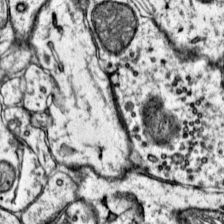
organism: Mouse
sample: Primary visual cortex